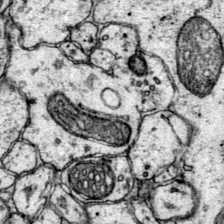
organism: Mouse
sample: Primary visual cortex